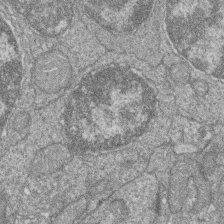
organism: Zebrafish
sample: Cilia; retinal pigment epithelium